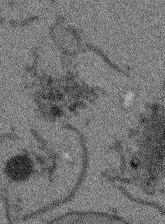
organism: Arabidopsis thaliana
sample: Root tip